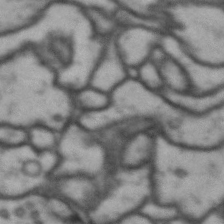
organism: Drosophila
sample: Brain